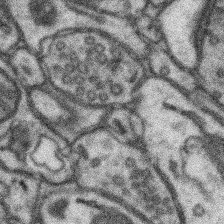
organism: Mouse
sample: Somatosensory cortex neuropil